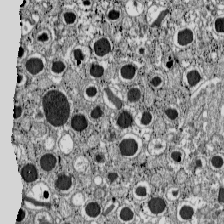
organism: C57BL Mouse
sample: Pancreatic islet